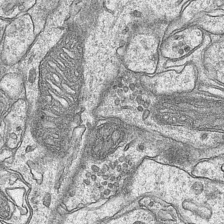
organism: Mouse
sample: CA1 Hippocampus